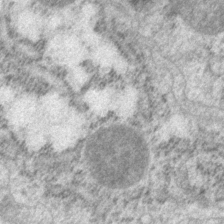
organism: P. pacificus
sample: Pharynx